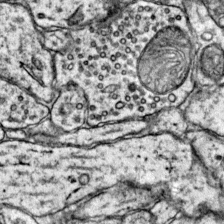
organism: Mouse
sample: Primary visual cortex